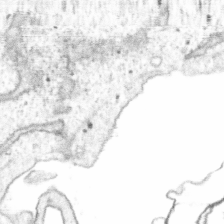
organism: Human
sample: HeLa cells